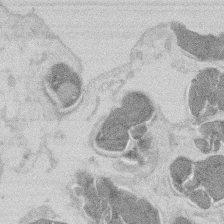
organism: Mouse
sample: T cell stromal cell synapse